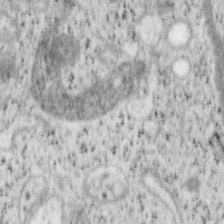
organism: Mouse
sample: OT-I killer T cells with ID8 ovarian cancer cells